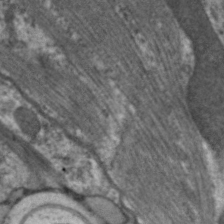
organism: C. elegans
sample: Pharynx